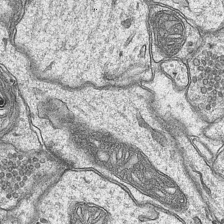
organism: Mouse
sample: CA1 Hippocampus